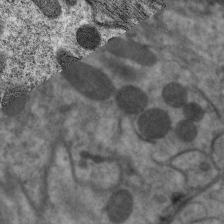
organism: C. elegans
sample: Pharynx